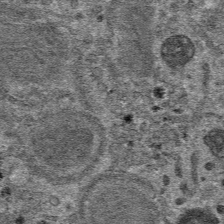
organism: Mouse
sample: Mouse hepatocytes